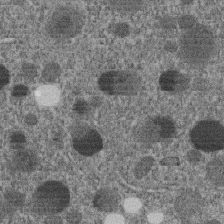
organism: C. elegans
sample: C. elegans embryo early stage